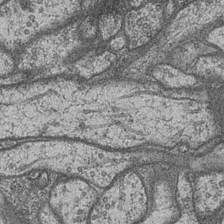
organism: Drosophila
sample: Optic medulla